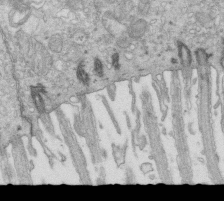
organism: Mouse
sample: Multiciliated cells